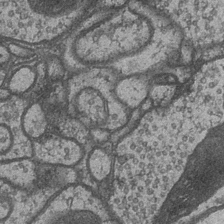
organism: Drosophila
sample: Optic medulla